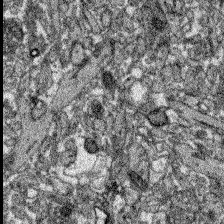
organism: Zebrafish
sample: Larval olfactory bulb